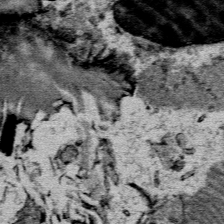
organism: Mouse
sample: Mouse Salivary gland